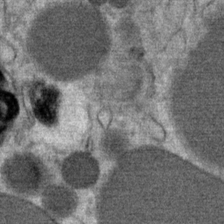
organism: Mouse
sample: Mouse Salivary gland